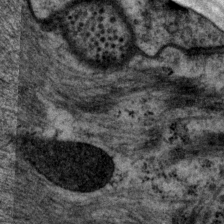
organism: P. pacificus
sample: Pharynx